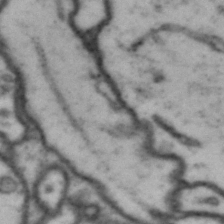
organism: Drosophila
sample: Brain